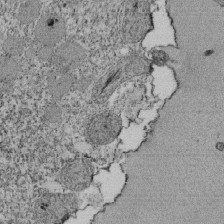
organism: Tetrahymena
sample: Cilia in tetrahymena